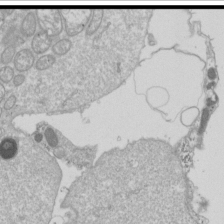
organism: Drosophila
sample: Cell division; meiosis; drosophila spermatocytes